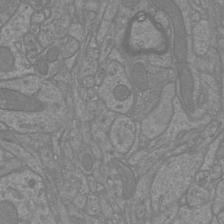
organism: Mouse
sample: Cortical neurons